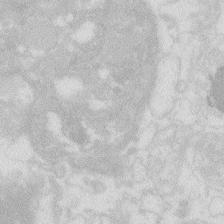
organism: Zebrafish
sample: Macrophage